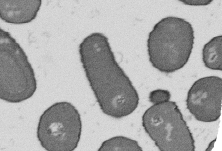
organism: B. subtilis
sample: Bacterial spore